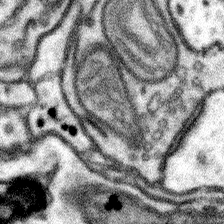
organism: Mouse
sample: Somatosensory cortex neuropil